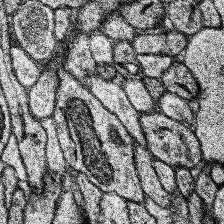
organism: Human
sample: Temporal Lobe